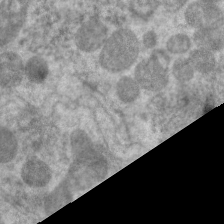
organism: C. elegans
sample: Pharynx